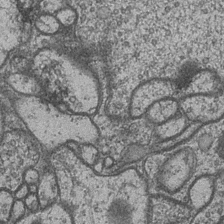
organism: Drosophila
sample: Optic medulla